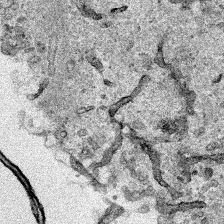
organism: Human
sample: Mitochondria in HCT116 cells